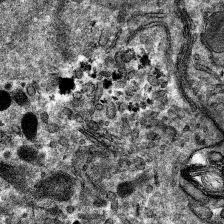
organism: Mouse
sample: Mouse hepatocytes